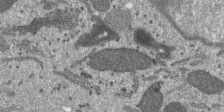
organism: Human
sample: Lung epithelial cells infected with SARS-CoV-2